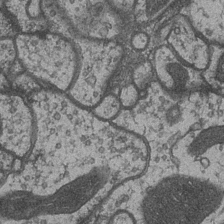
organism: Drosophila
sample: Optic medulla